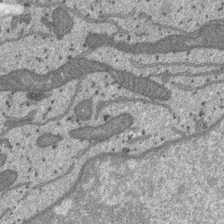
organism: Human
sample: Lung epithelial cells infected with SARS-CoV-2